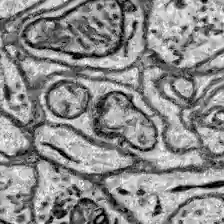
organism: Zebrafish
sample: Brain